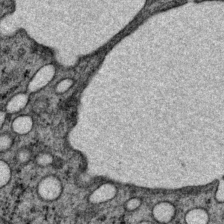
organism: P. pacificus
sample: Pharynx